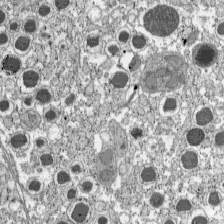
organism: C57BL Mouse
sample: Pancreatic islet